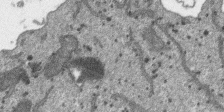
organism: Human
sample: Lung epithelial cells infected with SARS-CoV-2